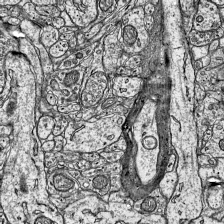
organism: Mouse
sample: Visual Cortex